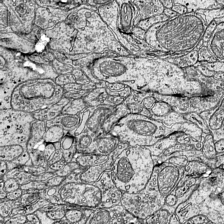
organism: Mouse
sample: Visual Cortex